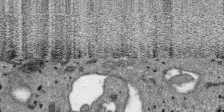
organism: Human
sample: Lung epithelial cells, uninfected (mock) control